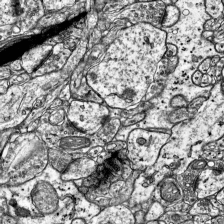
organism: Mouse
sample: Visual Cortex